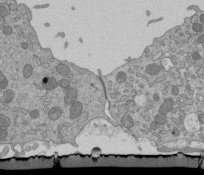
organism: Mouse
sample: ED-1 cell nuclei; centrioles